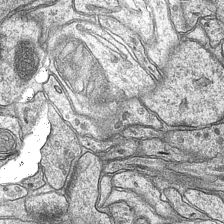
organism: Mouse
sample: CA1 Hippocampus